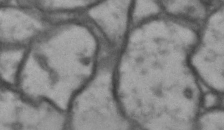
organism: Drosophila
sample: Brain